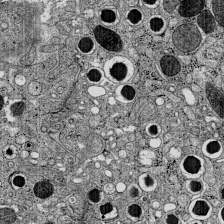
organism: C57BL Mouse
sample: Pancreatic islet